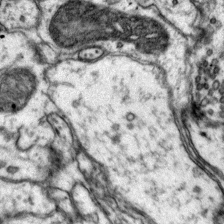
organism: Mouse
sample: Primary visual cortex